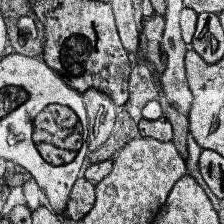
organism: Human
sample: Temporal Lobe